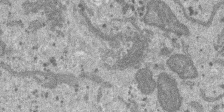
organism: Human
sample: Lung epithelial cells infected with SARS-CoV-2